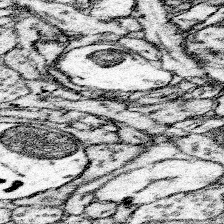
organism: Mouse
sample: Somatosensory cortex neuropil